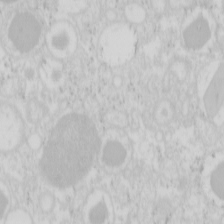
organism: Mouse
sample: Pancreas